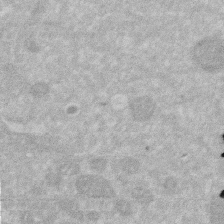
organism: Human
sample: HIV infected U937 cells